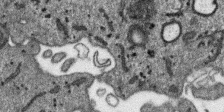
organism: Human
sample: Lung epithelial cells infected with SARS-CoV-2